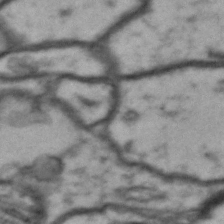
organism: Drosophila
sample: Brain